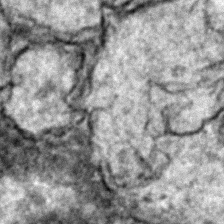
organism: Zebrafish